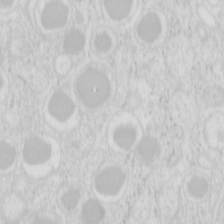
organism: Mouse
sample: Pancreas